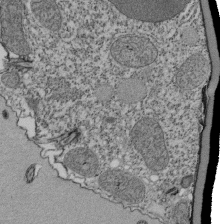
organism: Tetrahymena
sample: Cilia in tetrahymena